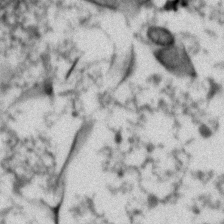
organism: Zebrafish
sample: Zebrafish embryo